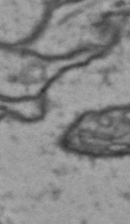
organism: Drosophila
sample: Brain